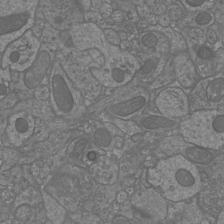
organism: Mouse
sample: Cortical neurons